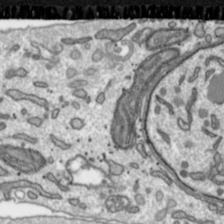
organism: Toxoplasma gondii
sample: Parasites in a vacuole inside a host cell